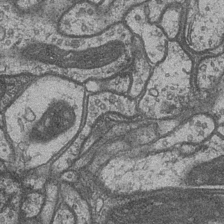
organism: Drosophila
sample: Optic medulla